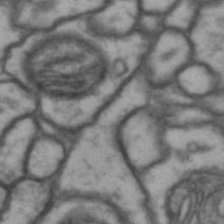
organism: Drosophila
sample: Brain